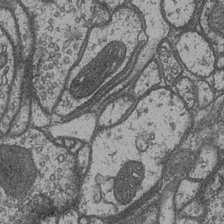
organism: Drosophila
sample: Optic medulla